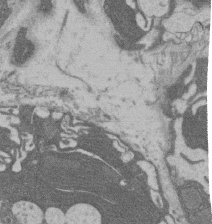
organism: Rat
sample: Salivary granule